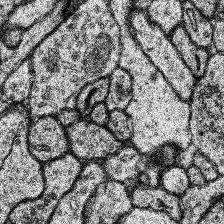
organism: Human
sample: Temporal Lobe